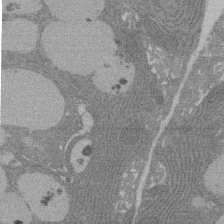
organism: Rat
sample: Salivary granule